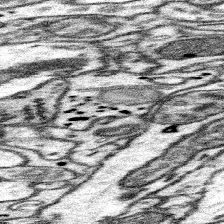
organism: Mouse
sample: Somatosensory cortex neuropil